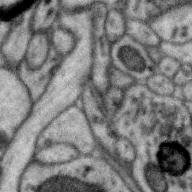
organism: Zebra finch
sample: Brain